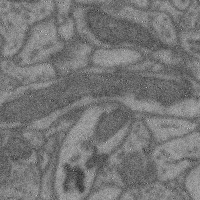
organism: Mouse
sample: Cerebral cortex